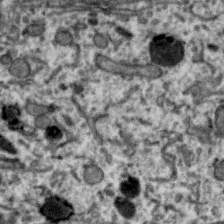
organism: Zebra finch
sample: Brain